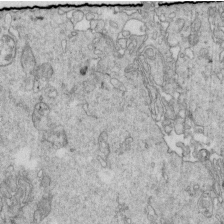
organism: Mouse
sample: Multiciliated cells